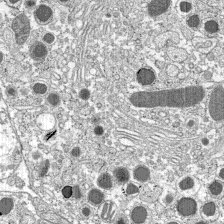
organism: C57BL Mouse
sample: Pancreatic islet